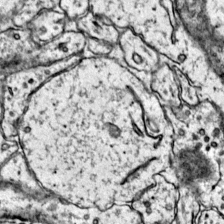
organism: Mouse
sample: Primary visual cortex